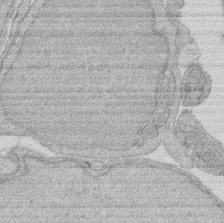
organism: Rat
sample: Salivary granule